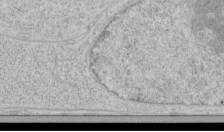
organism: Human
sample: Mitochondria in HCT116 cells